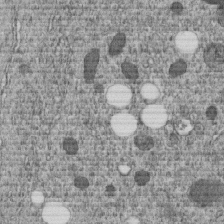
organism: C. elegans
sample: C. elegans embryo early stage